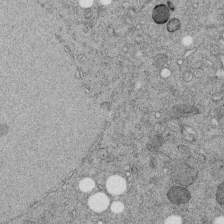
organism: C. elegans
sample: C. elegans embryo early stage